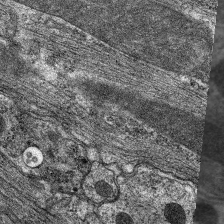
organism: C. elegans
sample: Pharynx